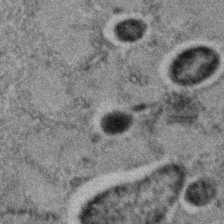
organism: C. elegans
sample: C. elegans embryo